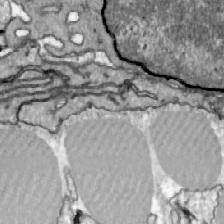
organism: Zebrafish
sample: Actinotrichia fibers